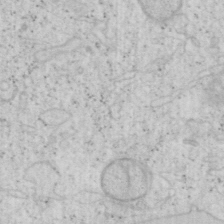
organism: Human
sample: HeLa cells